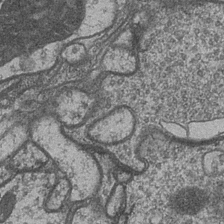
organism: Drosophila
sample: Optic medulla